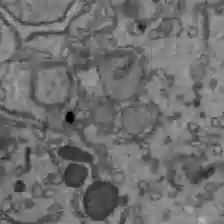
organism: C57BL Mouse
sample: Liver